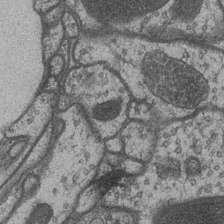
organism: Drosophila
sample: Optic medulla